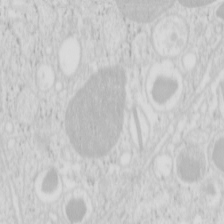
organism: Mouse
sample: Pancreas